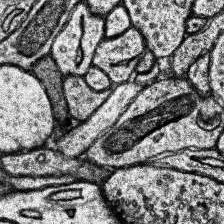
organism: Human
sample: Temporal Lobe